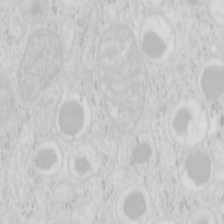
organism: Mouse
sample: Pancreas